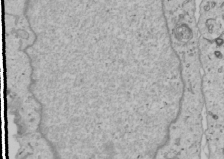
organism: Human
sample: Mitochondria in U2OS cells